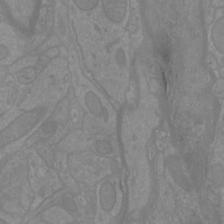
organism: Mouse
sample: Cortical neurons